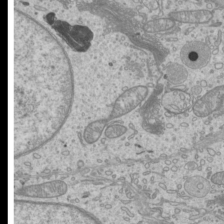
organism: Mouse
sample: Cilia; mouse epididymis